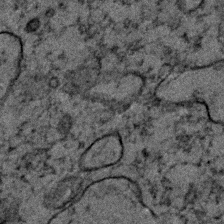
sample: Trachea